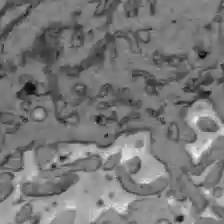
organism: C57BL Mouse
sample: Liver